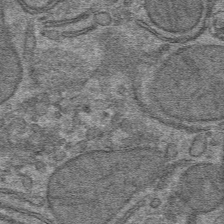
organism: Mouse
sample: Mouse hepatocytes